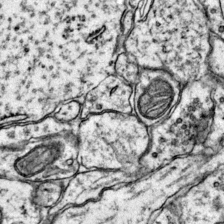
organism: Mouse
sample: Primary visual cortex